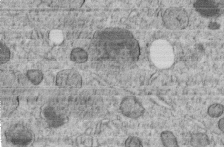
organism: C. elegans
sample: C. elegans embryo early stage